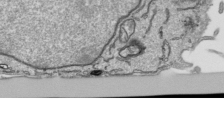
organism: Human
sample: Mitochondria in HCT116 cells